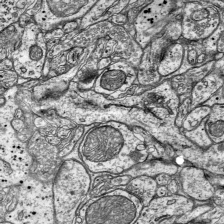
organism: Mouse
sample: Visual Cortex